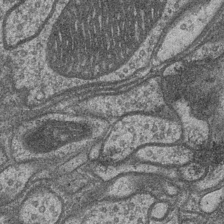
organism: Drosophila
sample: Optic medulla